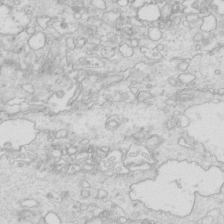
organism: Mouse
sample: Multiciliated cells